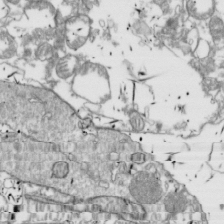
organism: Drosophila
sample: Cell division; meiosis; drosophila spermatocytes